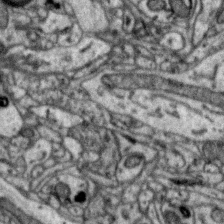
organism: Zebra finch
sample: Brain